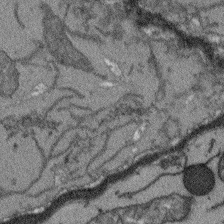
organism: Arabidopsis thaliana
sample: Root tip